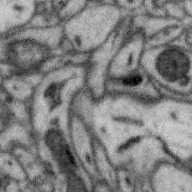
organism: Zebra finch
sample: Brain